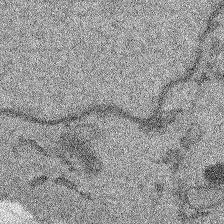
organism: Human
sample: HeLa cells